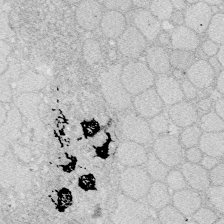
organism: Zebrafish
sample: Whole-Brain